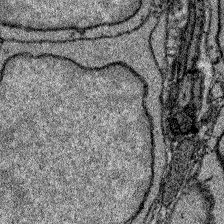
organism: Zebrafish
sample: Larval olfactory bulb